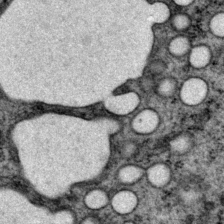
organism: P. pacificus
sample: Pharynx